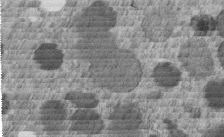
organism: C. elegans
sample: C. elegans embryo early stage